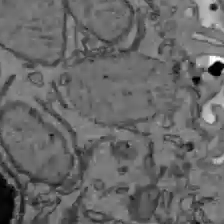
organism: C57BL Mouse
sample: Liver